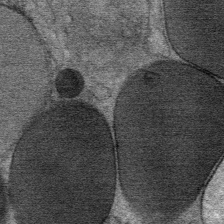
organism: Mouse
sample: Mouse Salivary gland